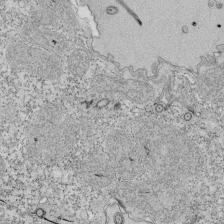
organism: Tetrahymena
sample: Cilia in tetrahymena